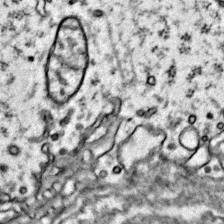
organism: Mouse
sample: Primary visual cortex